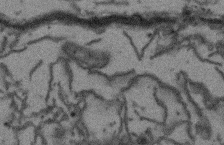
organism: Arabidopsis thaliana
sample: Root tip